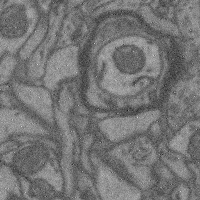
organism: Mouse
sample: Cerebral cortex